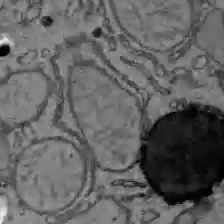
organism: C57BL Mouse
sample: Liver